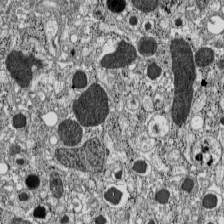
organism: C57BL Mouse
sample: Pancreatic islet